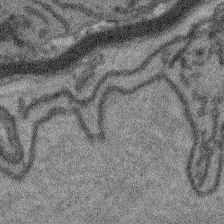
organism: Arabidopsis thaliana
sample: Root tip